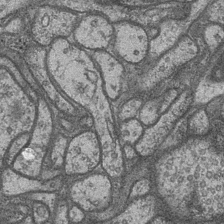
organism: Drosophila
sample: Optic medulla